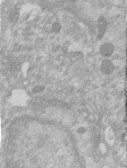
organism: Human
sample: Centriole in RPE cells